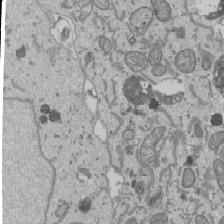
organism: Human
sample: Mitochondria in U2OS cells